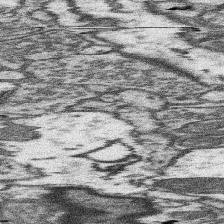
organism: Mouse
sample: Somatosensory cortex neuropil